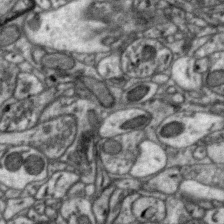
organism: Zebra finch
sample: Brain